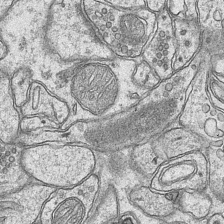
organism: Mouse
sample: CA1 Hippocampus